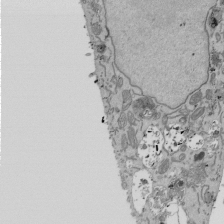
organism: Mouse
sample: ED-1 cell nuclei; centrioles